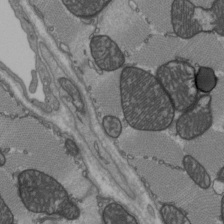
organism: C57BL Mouse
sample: Heart